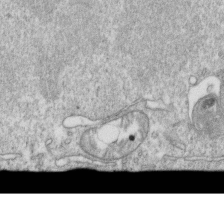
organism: Mouse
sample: Activated OT-1 CD8+ T cells